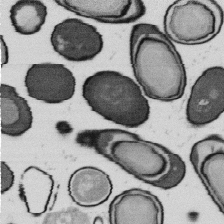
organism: B. subtilis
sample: Bacterial spore